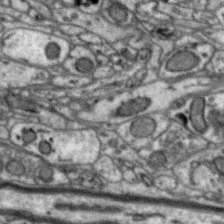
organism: Zebra finch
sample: Brain